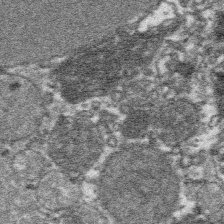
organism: Platynereis dumerilii